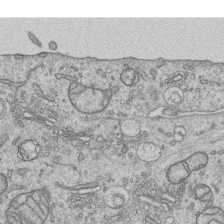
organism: Human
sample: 1205lu cells